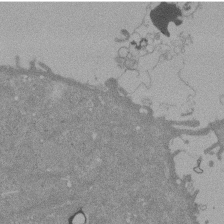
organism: Mouse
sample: ED-1 cell nuclei; centrioles